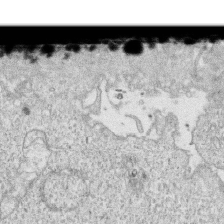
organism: Human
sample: HeLa cell HIV synapse